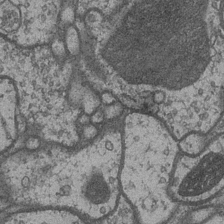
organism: Drosophila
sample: Optic medulla